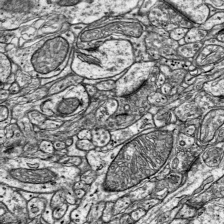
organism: Mouse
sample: Visual Cortex